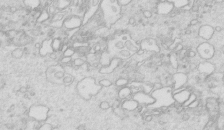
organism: Mouse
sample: Multiciliated cells